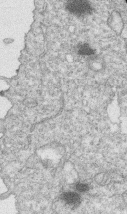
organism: Human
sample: HeLa cell HIV synapse